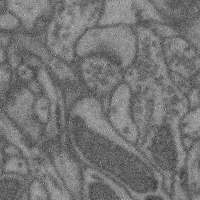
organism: Mouse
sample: Cerebral cortex